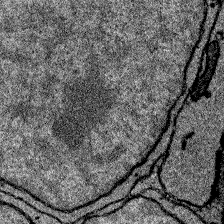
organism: Zebrafish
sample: Larval olfactory bulb